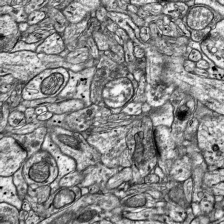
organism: Mouse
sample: Visual Cortex